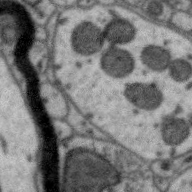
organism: Zebra finch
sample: Brain